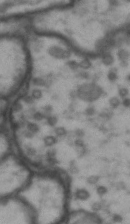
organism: Drosophila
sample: Brain